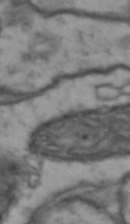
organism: Drosophila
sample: Brain